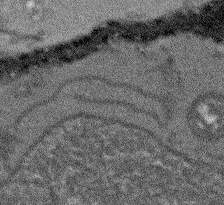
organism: Arabidopsis thaliana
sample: Root tip